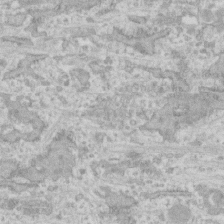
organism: Human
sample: CRL-1474